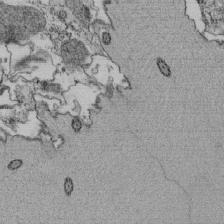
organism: Tetrahymena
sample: Cilia in tetrahymena